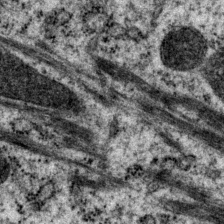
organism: P. pacificus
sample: Pharynx